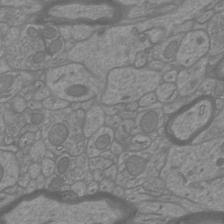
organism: Mouse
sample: Cortical neurons